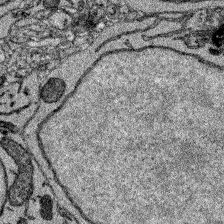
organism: Zebrafish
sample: Larval olfactory bulb